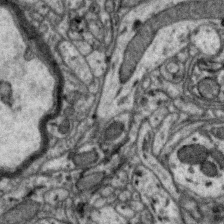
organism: Zebra finch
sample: Brain